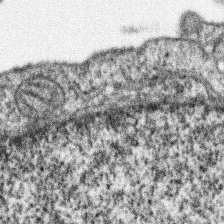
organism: Human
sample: HeLa cells